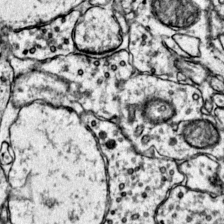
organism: Mouse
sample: Primary visual cortex